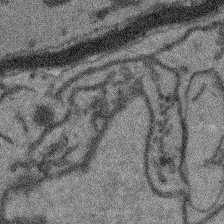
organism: Arabidopsis thaliana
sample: Root tip